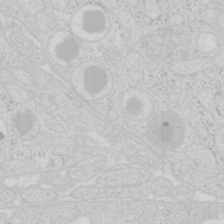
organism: Mouse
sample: Pancreas